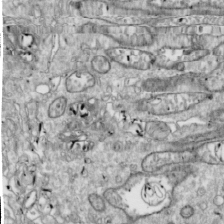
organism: Drosophila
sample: Cell division; meiosis; drosophila spermatocytes